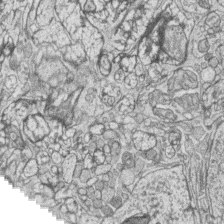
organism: Zebrafish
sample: synaptic ribbons in rod cells and cone cells